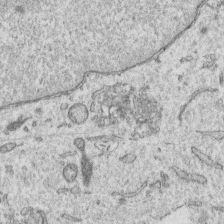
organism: Human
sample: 1205lu cells